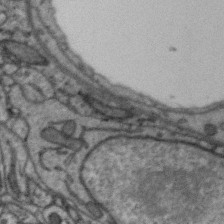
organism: Zebra finch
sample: Brain